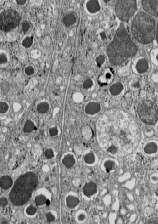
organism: C57BL Mouse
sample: Pancreatic islet